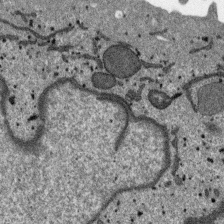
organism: Human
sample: Lung epithelial cells, uninfected (mock) control